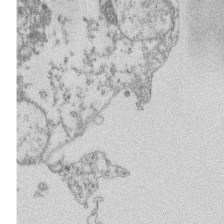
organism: Human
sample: HeLa cell HIV synapse